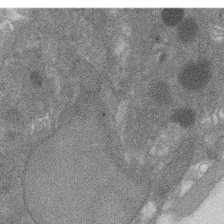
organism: Rat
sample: Salivary granule